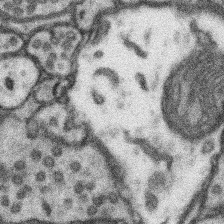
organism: Mouse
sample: Somatosensory cortex neuropil